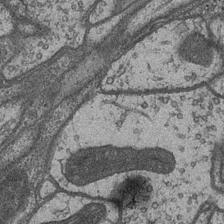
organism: Drosophila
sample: Optic medulla